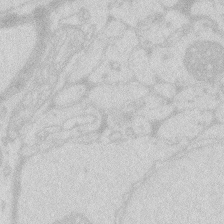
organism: Zebrafish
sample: Macrophage